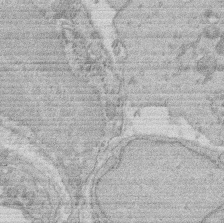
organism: Rat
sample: Salivary granule